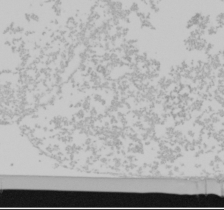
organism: Mouse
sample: Cancer cell death in ED-1 cells